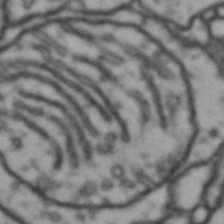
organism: Drosophila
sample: Brain